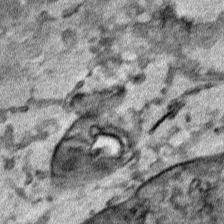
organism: Human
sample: Mitochondria in HCT116 cells